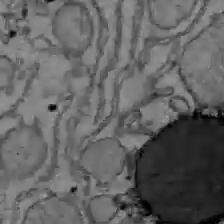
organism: C57BL Mouse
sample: Liver